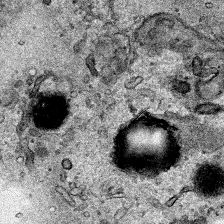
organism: Human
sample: Mitochondria in HCT116 cells